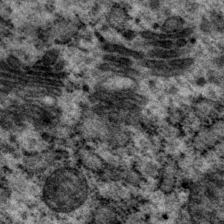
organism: P. pacificus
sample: Pharynx